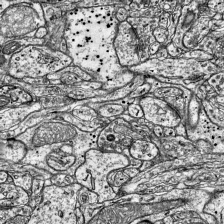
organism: Mouse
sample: Visual Cortex